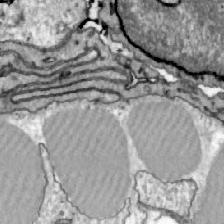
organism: Zebrafish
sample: Actinotrichia fibers